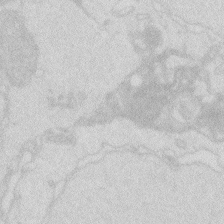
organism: Zebrafish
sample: Macrophage